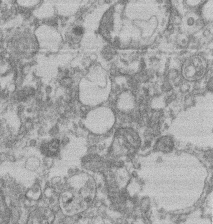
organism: Mouse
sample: T cell stromal cell synapse